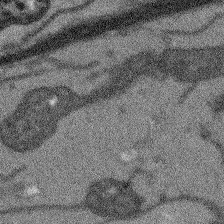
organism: Arabidopsis thaliana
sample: Root tip